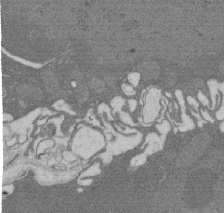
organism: Rat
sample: Salivary granule